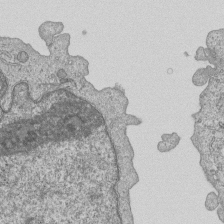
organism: Human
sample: MDA-MB-231 cells